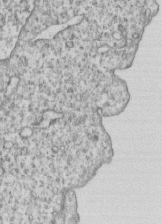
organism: Human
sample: MDA-MB-231 cells